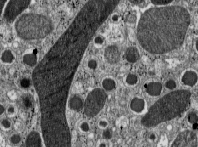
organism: C57BL Mouse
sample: Pancreatic islet